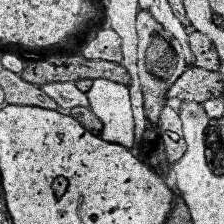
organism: Human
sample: Temporal Lobe